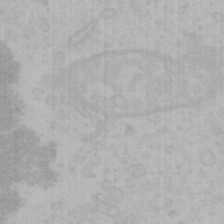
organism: Mouse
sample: Choroid plexus